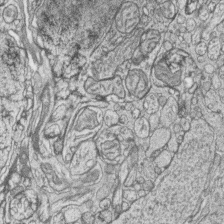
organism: Zebrafish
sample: synaptic ribbons in rod cells and cone cells